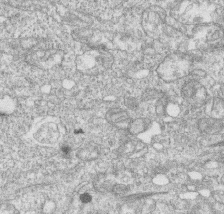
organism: Human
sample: HeLa cell HIV synapse